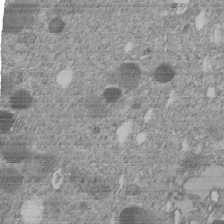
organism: C. elegans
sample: C. elegans embryo early stage